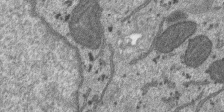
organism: Human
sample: Lung epithelial cells infected with SARS-CoV-2